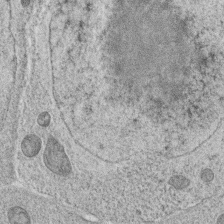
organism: C. elegans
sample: C. elegans oocyte; sperm cells